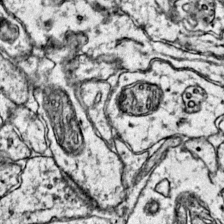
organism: Mouse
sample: Primary visual cortex